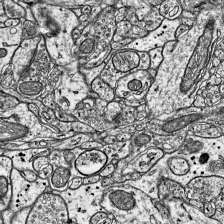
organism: Mouse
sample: Visual Cortex